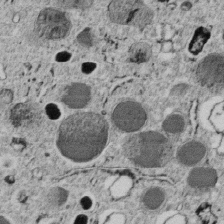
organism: C. elegans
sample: C. elegans embryo early stage